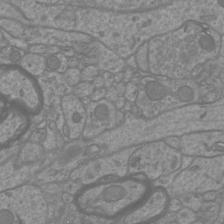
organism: Mouse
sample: Cortical neurons